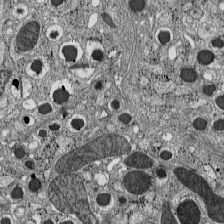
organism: C57BL Mouse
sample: Pancreatic islet